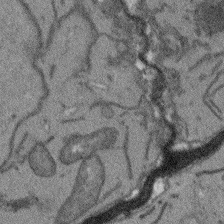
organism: Arabidopsis thaliana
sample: Root tip